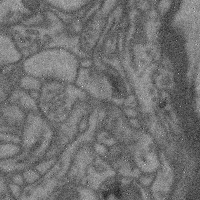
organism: Mouse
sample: Cerebral cortex